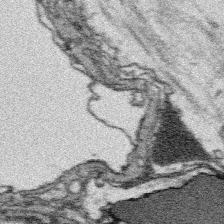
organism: Platynereis dumerilii